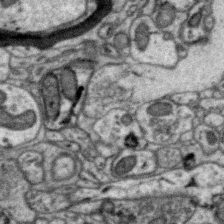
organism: Zebra finch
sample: Brain